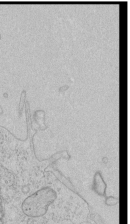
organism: Human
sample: Mitochondria in HCT116 cells